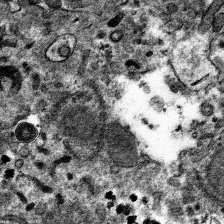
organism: Mouse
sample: Mouse hepatocytes